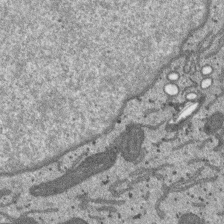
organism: Human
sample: Lung epithelial cells infected with SARS-CoV-2